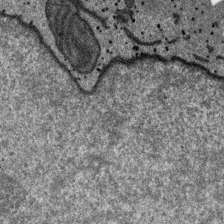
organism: Human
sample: Lung epithelial cells, uninfected (mock) control